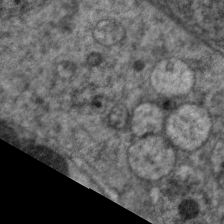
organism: C. elegans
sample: Pharynx